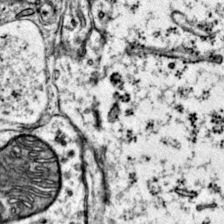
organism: Mouse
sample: Primary visual cortex